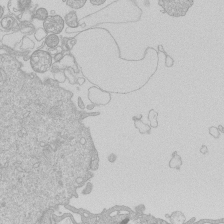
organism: Human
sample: Macrophage cells